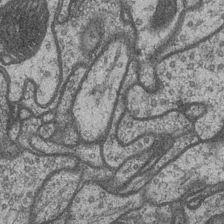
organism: Drosophila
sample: Optic medulla